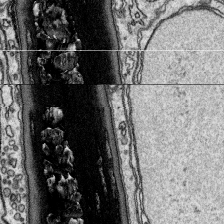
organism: Platynereis dumerilii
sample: Parapodia